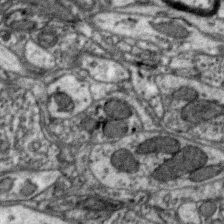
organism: Zebra finch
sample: Brain